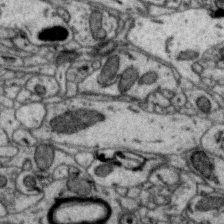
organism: Zebra finch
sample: Brain